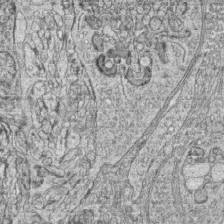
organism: Zebrafish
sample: synaptic ribbons in rod cells and cone cells